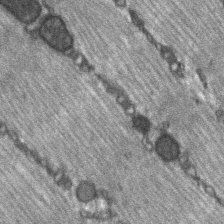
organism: C57BL Mouse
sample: Soleus